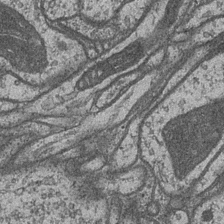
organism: Drosophila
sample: Optic medulla